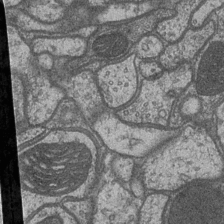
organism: Drosophila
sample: Optic medulla